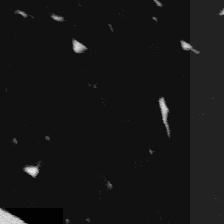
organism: Platynereis dumerilii